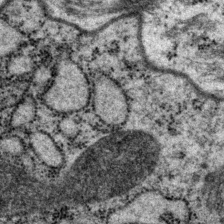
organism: P. pacificus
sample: Pharynx